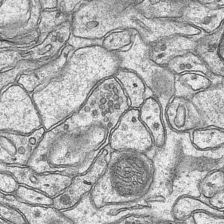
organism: Mouse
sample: CA1 Hippocampus